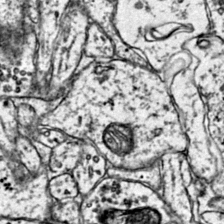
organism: Mouse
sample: Primary visual cortex